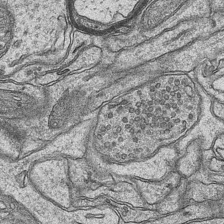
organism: Mouse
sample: CA1 Hippocampus